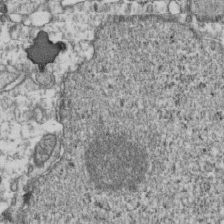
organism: Human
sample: Activated Jurkat CD4+ T cells